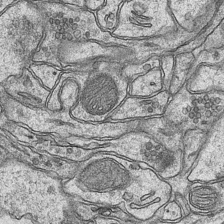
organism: Mouse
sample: CA1 Hippocampus